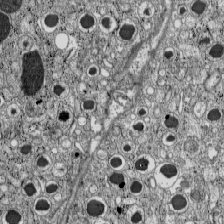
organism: C57BL Mouse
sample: Pancreatic islet